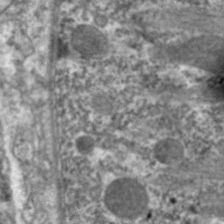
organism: C. elegans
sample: Pharynx